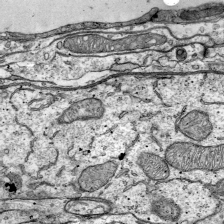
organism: Mouse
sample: Visual Cortex